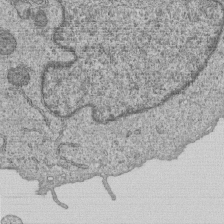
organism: Human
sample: MDA-MB-231 cells